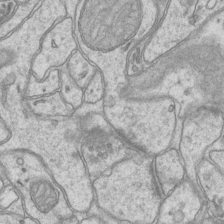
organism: Mouse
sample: CA1 Hippocampus